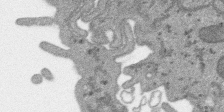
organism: Human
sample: Lung epithelial cells infected with SARS-CoV-2